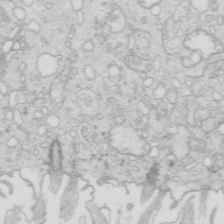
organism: Mouse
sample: Multiciliated cells